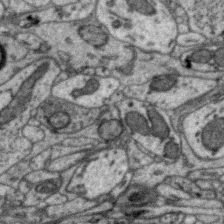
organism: Zebra finch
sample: Brain